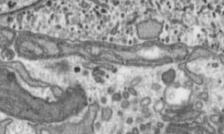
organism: Toxoplasma gondii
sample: Parasites in a vacuole inside a host cell